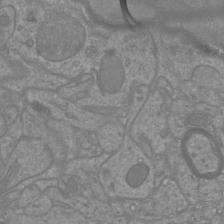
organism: Mouse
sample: Cortical neurons